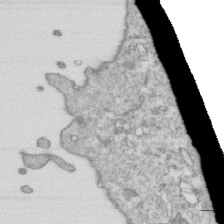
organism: Mouse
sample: Activated OT-1 CD8+ T cells